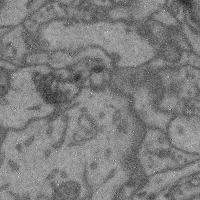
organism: Mouse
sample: Cerebral cortex